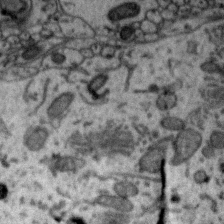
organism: Zebra finch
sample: Brain